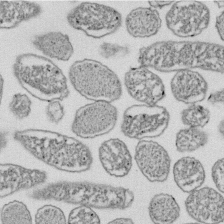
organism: E. coli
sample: Bacterial nucleoid